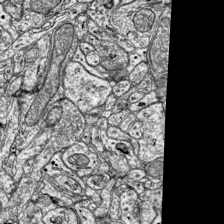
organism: Mouse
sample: Visual Cortex